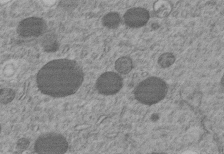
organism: C. elegans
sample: C. elegans embryo early stage